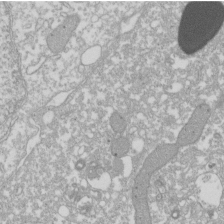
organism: Xenopus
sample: Cilia; centrioles in frog embryo cells